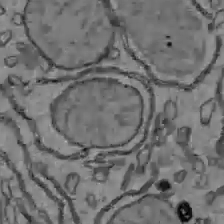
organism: C57BL Mouse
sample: Liver